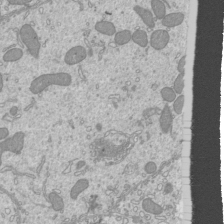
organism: Mouse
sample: Cilia; mouse epididymis